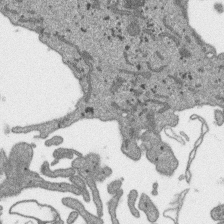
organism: Human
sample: Lung epithelial cells infected with SARS-CoV-2